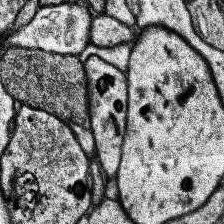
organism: Human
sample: Temporal Lobe